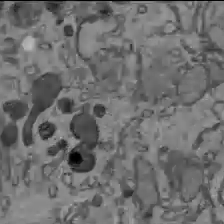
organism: C57BL Mouse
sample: Liver